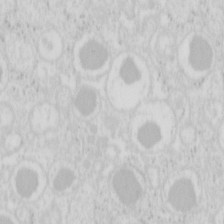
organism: Mouse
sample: Pancreas